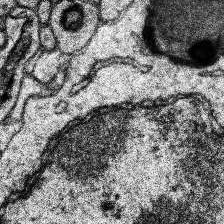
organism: Human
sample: Temporal Lobe